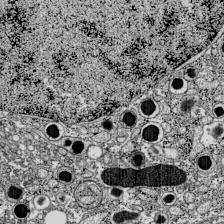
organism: C57BL Mouse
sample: Pancreatic islet